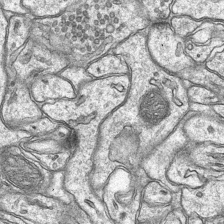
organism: Mouse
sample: CA1 Hippocampus